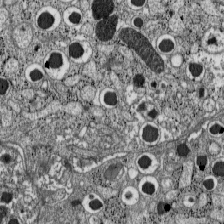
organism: C57BL Mouse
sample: Pancreatic islet